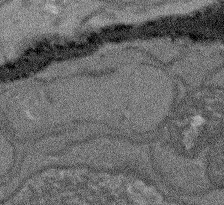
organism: Arabidopsis thaliana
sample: Root tip